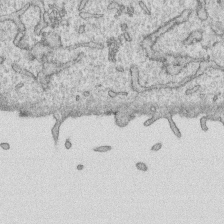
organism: Human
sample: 1205lu cells